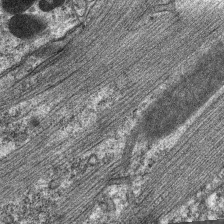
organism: C. elegans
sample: Pharynx